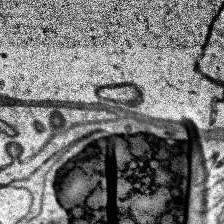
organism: Human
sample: Temporal Lobe